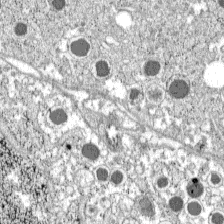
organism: C57BL Mouse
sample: Pancreatic islet